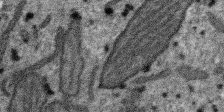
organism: Human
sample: Lung epithelial cells infected with SARS-CoV-2